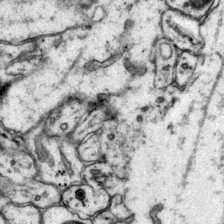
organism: Mouse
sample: Primary visual cortex